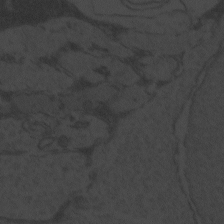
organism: Zebrafish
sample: Macrophage infected with Toxoplasma gondii